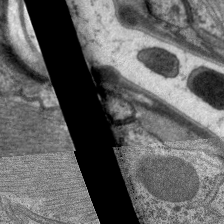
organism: C. elegans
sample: Pharynx